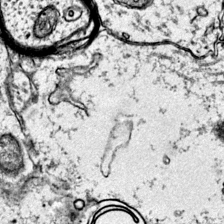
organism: Mouse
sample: Primary visual cortex